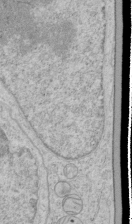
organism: Human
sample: Mitochondria in HCT116 cells